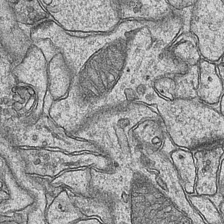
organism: Mouse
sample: CA1 Hippocampus